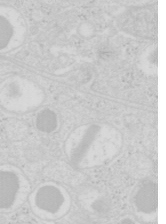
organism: Mouse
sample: Pancreas